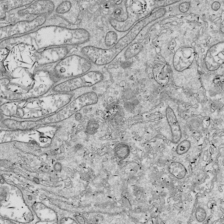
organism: Drosophila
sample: Cell division; meiosis; drosophila spermatocytes